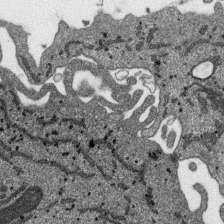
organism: Human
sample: Lung epithelial cells infected with SARS-CoV-2